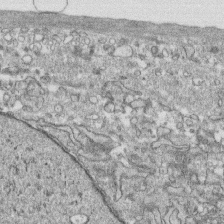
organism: Human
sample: CRL-1474